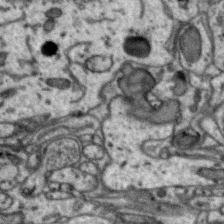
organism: Zebra finch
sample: Brain